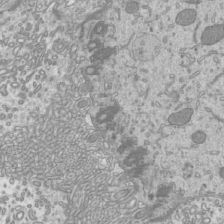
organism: Mouse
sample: Cilia; mouse epididymis